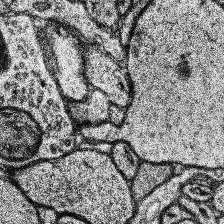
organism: Human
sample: Temporal Lobe